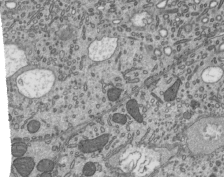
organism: Mouse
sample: Mouse epididymis efferent ductule cilia